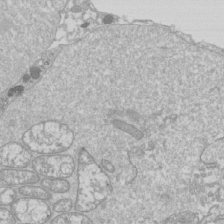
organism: Drosophila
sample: Cell division; meiosis; drosophila spermatocytes